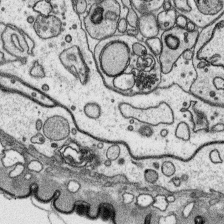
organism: Platynereis dumerilii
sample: Parapodia